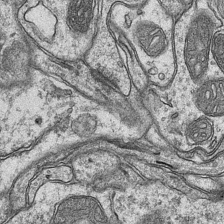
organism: Mouse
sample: CA1 Hippocampus